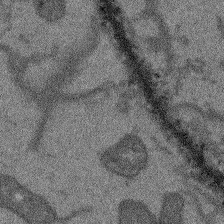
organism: Arabidopsis thaliana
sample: Root tip